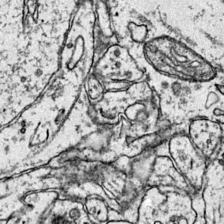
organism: Mouse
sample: Primary visual cortex